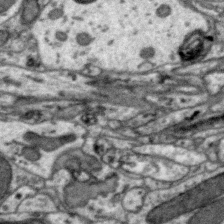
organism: Zebra finch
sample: Brain